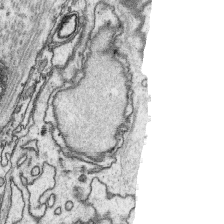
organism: Platynereis dumerilii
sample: Parapodia